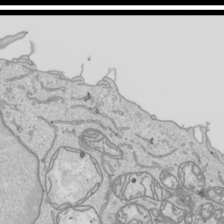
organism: Human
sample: Mitochondria in HCT116 cells